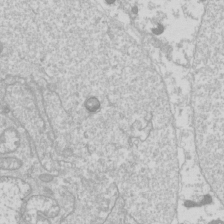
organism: Drosophila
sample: Cell division; meiosis; drosophila spermatocytes